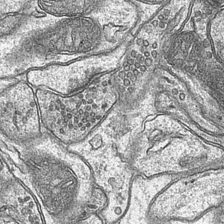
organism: Mouse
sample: CA1 Hippocampus